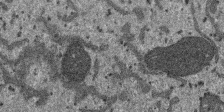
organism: Human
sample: Lung epithelial cells infected with SARS-CoV-2